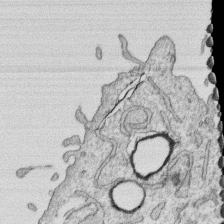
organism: Human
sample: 1205lu cells